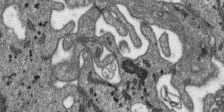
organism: Human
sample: Lung epithelial cells infected with SARS-CoV-2